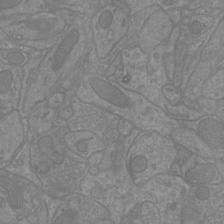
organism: Mouse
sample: Cortical neurons